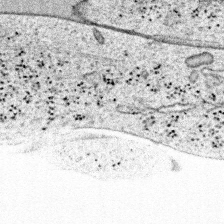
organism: Human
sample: HeLa cells